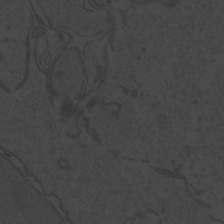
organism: Zebrafish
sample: Macrophage infected with Toxoplasma gondii